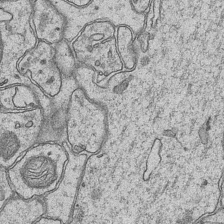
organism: Mouse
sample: CA1 Hippocampus